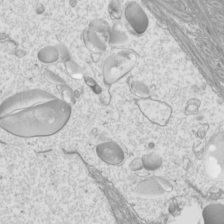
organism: Mouse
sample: Cilia; mouse epididymis